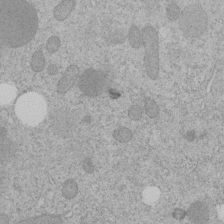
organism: C. elegans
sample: C. elegans embryo early stage